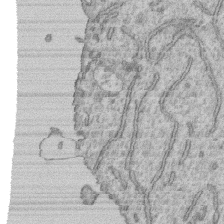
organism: Human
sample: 1205lu cells